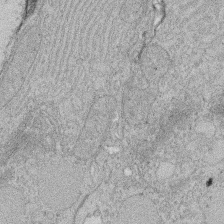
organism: Rat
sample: Salivary granule